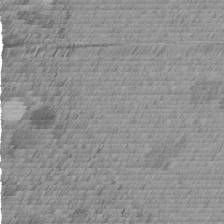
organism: C. elegans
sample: C. elegans embryo early stage